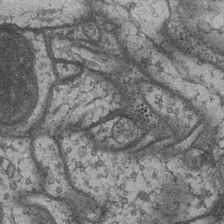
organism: Drosophila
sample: Optic medulla